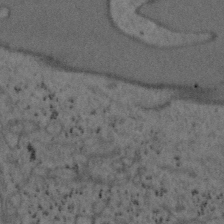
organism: Human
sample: HeLa cells